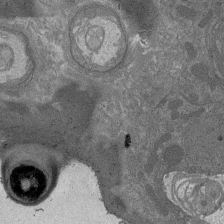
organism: Drosophila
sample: Antenna